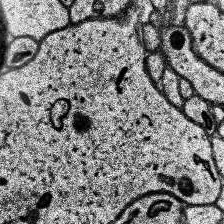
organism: Human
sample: Temporal Lobe